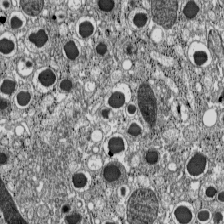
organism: C57BL Mouse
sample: Pancreatic islet